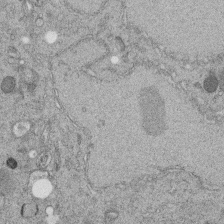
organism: C. elegans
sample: C. elegans embryo early stage